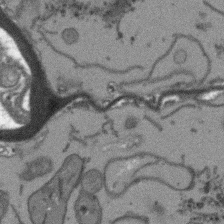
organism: Arabidopsis thaliana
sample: Root tip